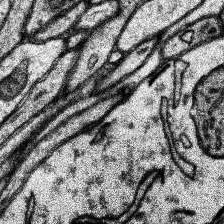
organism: Human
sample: Temporal Lobe